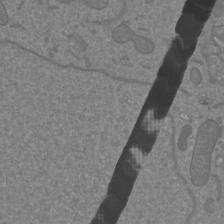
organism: Mouse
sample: Cortical neurons